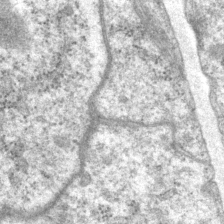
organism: P. pacificus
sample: Pharynx